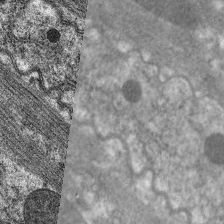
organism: C. elegans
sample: Pharynx